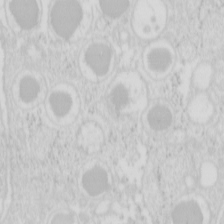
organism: Mouse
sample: Pancreas